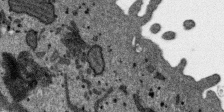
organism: Human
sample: Lung epithelial cells, uninfected (mock) control